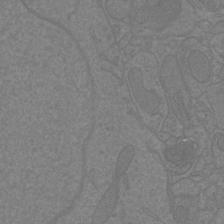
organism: Mouse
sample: Cortical neurons